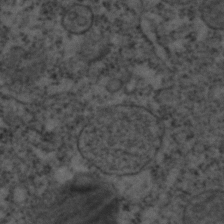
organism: C. elegans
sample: C. elegans embryo